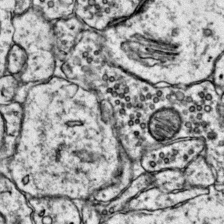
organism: Mouse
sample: Primary visual cortex